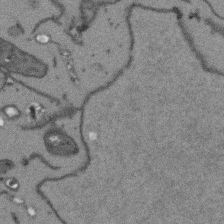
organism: Arabidopsis thaliana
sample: Root tip